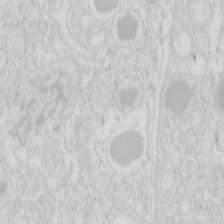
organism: Mouse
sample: Pancreas